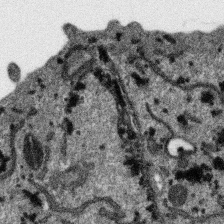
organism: Human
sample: Lung epithelial cells infected with SARS-CoV-2